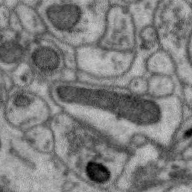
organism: Zebra finch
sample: Brain